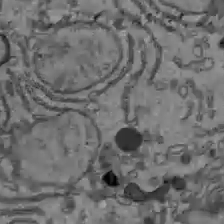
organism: C57BL Mouse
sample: Liver